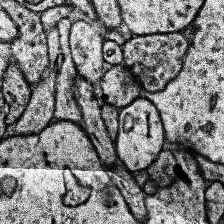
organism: Human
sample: Temporal Lobe